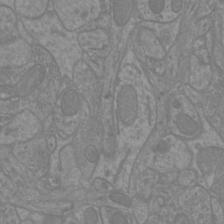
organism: Mouse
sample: Cortical neurons